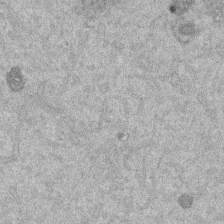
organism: Mouse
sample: Dividing mouse embryo 1 cell stage